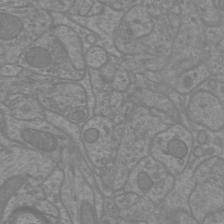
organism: Mouse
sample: Cortical neurons